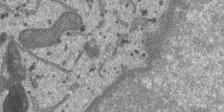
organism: Human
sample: Lung epithelial cells infected with SARS-CoV-2